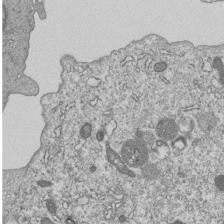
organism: Human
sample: MDA-MB-231 cells